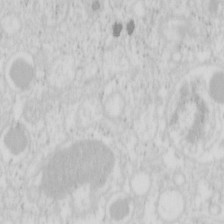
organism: Mouse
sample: Pancreas